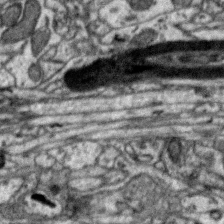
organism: Zebra finch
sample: Brain